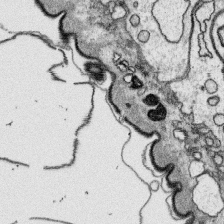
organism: Platynereis dumerilii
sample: Parapodia